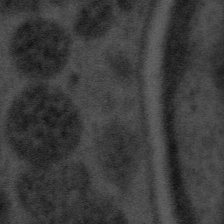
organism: Tuwongella immobilis